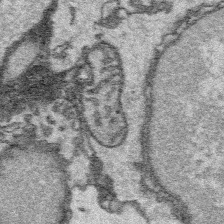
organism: Platynereis dumerilii